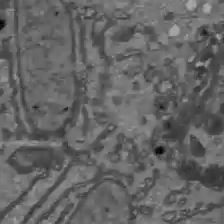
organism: C57BL Mouse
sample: Liver